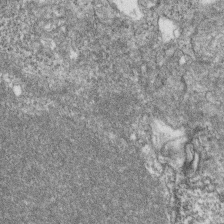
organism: Zebrafish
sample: Cilia; retinal pigment epithelium